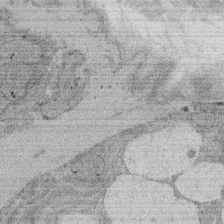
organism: Rat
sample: Salivary granule